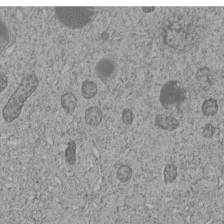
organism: C. elegans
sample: C. elegans embryo early stage